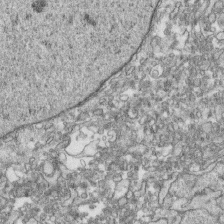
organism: Human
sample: CRL-1474